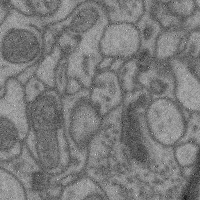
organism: Mouse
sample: Cerebral cortex